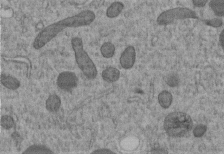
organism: C. elegans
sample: C. elegans embryo early stage